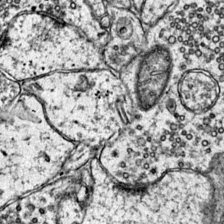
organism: Mouse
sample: Primary visual cortex